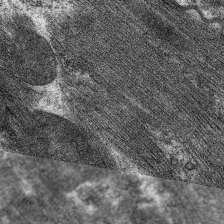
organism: C. elegans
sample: Pharynx